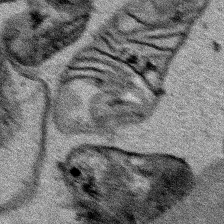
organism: Human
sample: Mitochondria in HCT116 cells